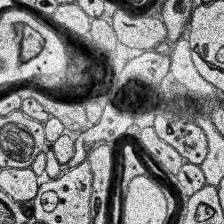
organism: Human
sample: Temporal Lobe